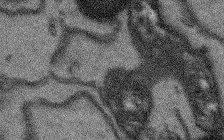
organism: Arabidopsis thaliana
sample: Root tip